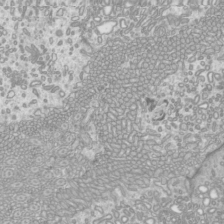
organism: Mouse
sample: Cilia; mouse epididymis